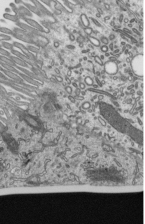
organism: Mouse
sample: Mouse epididymis efferent ductule cilia